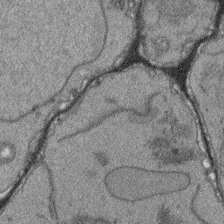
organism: Arabidopsis thaliana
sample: Root tip